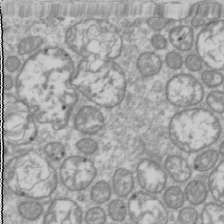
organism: Drosophila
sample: Cell division; meiosis; drosophila spermatocytes